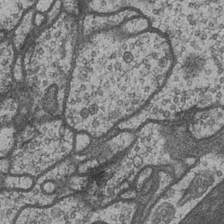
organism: Drosophila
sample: Optic medulla